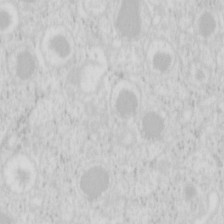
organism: Mouse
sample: Pancreas